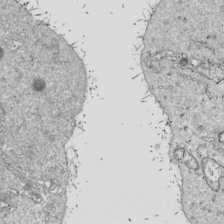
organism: Drosophila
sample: Cell division; meiosis; drosophila spermatocytes